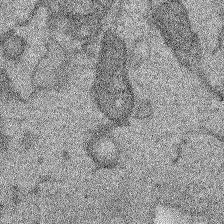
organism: Human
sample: HeLa cells